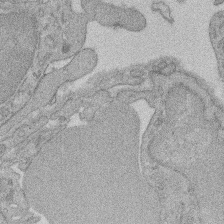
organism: Rat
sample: Salivary granule